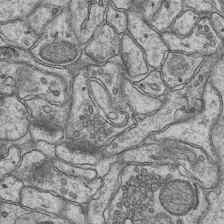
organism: Mouse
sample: CA1 Hippocampus